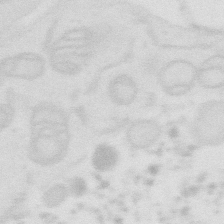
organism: Human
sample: HeLa cells